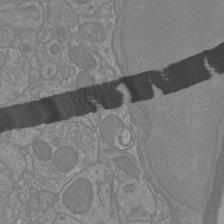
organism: Mouse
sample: Cortical neurons